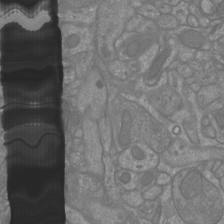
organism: Mouse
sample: Cortical neurons